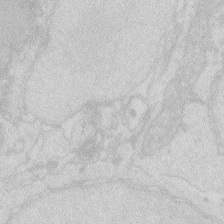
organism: Zebrafish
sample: Macrophage